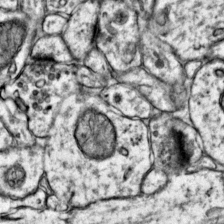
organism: Mouse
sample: Primary visual cortex